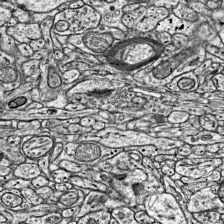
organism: Mouse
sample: Visual Cortex